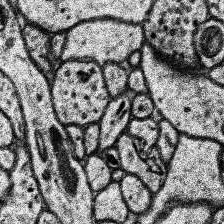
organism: Human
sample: Temporal Lobe